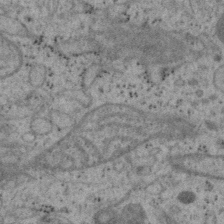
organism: Human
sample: HeLa cells